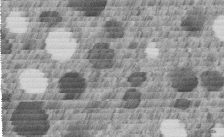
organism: C. elegans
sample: C. elegans embryo early stage